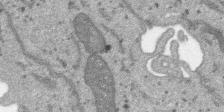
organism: Human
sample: Lung epithelial cells infected with SARS-CoV-2